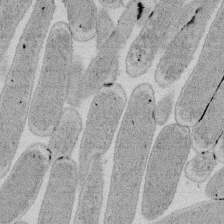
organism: E. coli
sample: Bacterial nucleoid